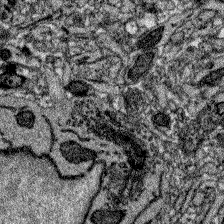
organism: Zebrafish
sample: Larval olfactory bulb